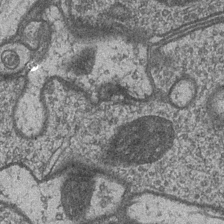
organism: Drosophila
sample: Optic medulla